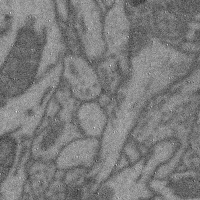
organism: Mouse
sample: Cerebral cortex